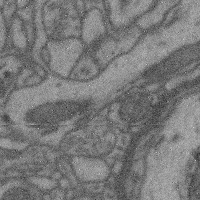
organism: Mouse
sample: Cerebral cortex